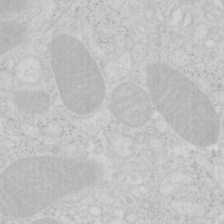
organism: Mouse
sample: Pancreas